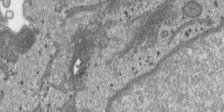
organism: Human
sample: Lung epithelial cells infected with SARS-CoV-2